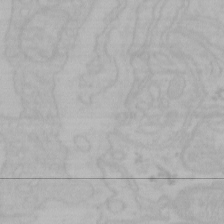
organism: Mouse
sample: Choroid plexus